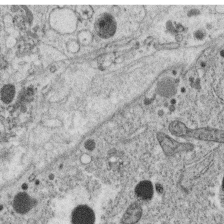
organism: C. elegans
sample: C. elegans oocyte; sperm cells